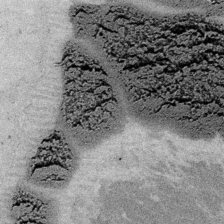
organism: Embia sp.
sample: Silk gland